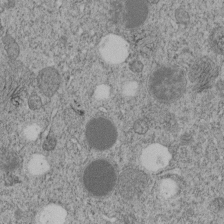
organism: C. elegans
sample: C. elegans embryo early stage